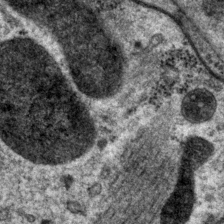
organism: P. pacificus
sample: Pharynx